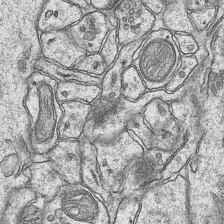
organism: Mouse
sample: CA1 Hippocampus